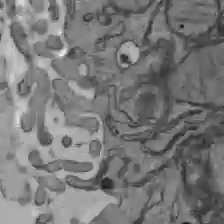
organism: C57BL Mouse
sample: Liver